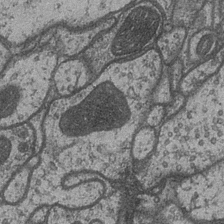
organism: Drosophila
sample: Optic medulla